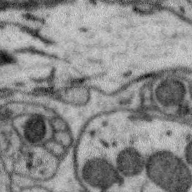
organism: Zebra finch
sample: Brain